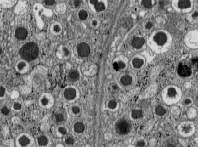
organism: C57BL Mouse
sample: Pancreatic islet